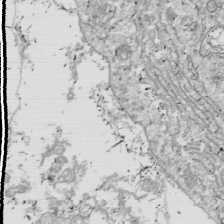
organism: Drosophila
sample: Cell division; meiosis; drosophila spermatocytes